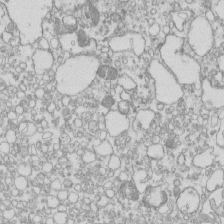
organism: Mouse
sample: Macrophages